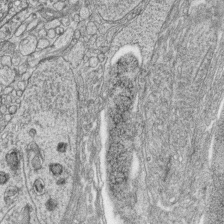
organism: Zebrafish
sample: synaptic ribbons in rod cells and cone cells